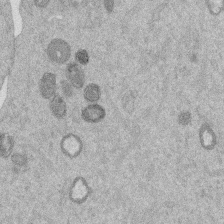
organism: Mouse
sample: Dividing mouse embryo 1 cell stage